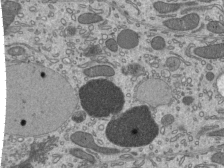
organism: Mouse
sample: Mouse epididymis efferent ductule cilia